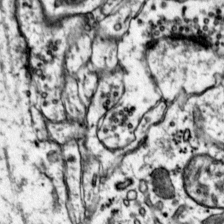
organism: Mouse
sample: Primary visual cortex